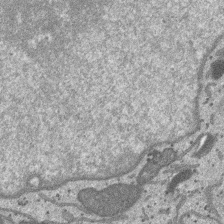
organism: Human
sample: Lung epithelial cells infected with SARS-CoV-2